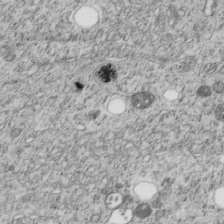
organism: C. elegans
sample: C. elegans embryo early stage